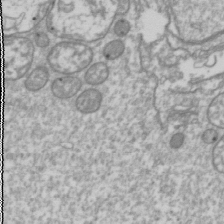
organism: Drosophila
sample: Cell division; meiosis; drosophila spermatocytes